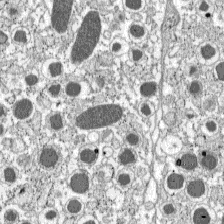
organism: C57BL Mouse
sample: Pancreatic islet